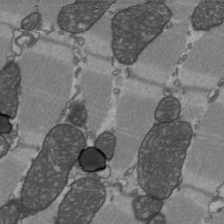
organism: C57BL Mouse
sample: Heart